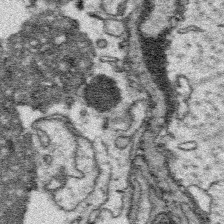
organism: Platynereis dumerilii